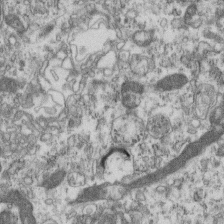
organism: Mouse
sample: Centriole in ependymal cells